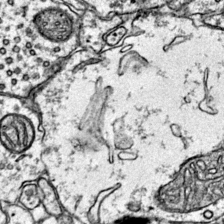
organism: Mouse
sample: Primary visual cortex